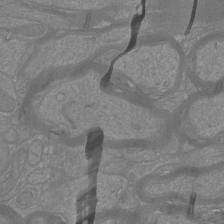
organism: Mouse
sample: Cortical neurons